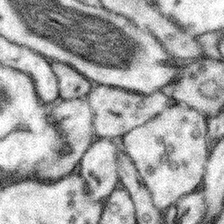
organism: Mouse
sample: Somatosensory cortex neuropil